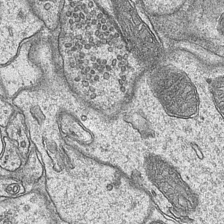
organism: Mouse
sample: CA1 Hippocampus